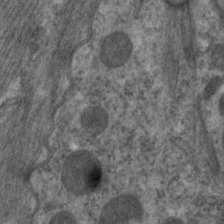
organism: C. elegans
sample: Pharynx